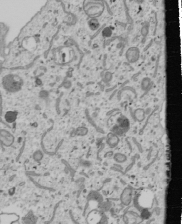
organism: Human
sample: Mitochondria in U2OS cells